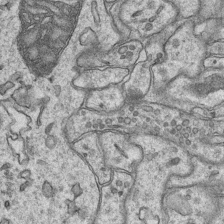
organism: Mouse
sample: CA1 Hippocampus